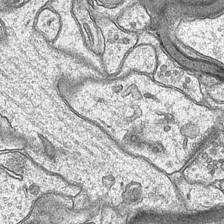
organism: Mouse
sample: CA1 Hippocampus